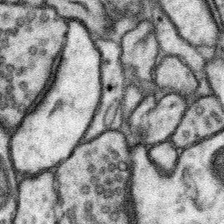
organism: Mouse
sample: Somatosensory cortex neuropil